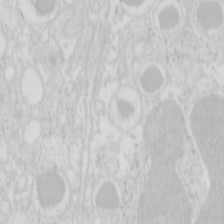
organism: Mouse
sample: Pancreas